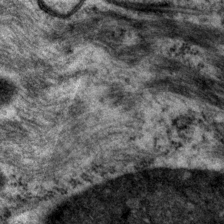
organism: P. pacificus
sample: Pharynx